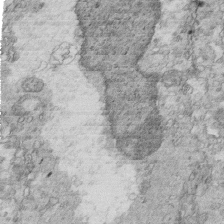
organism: Mouse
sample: Multiciliated cells